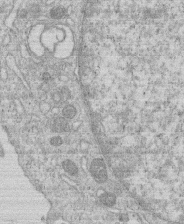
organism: Human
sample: Macrophage cells